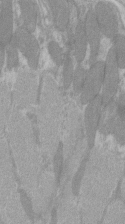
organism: C57BL Mouse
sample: Tibialis anterior muscle cell